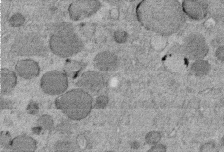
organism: C. elegans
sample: C. elegans embryo early stage